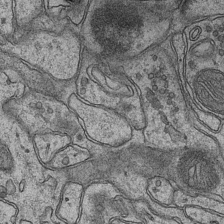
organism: Mouse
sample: CA1 Hippocampus